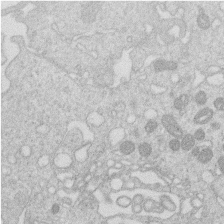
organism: Human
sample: Macrophage cells